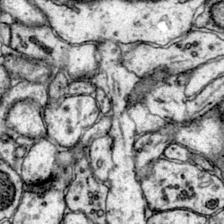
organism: Mouse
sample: Primary visual cortex